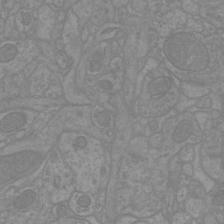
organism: Mouse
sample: Cortical neurons